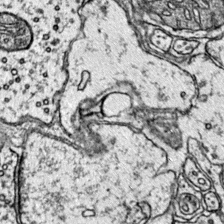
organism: Mouse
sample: Primary visual cortex